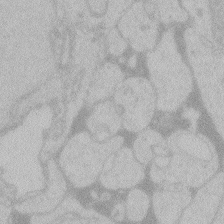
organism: Zebrafish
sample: Macrophage infected with Toxoplasma gondii